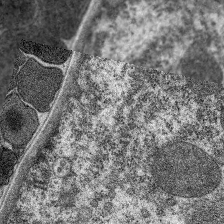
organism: C. elegans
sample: Pharynx